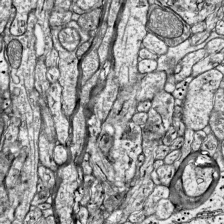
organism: Mouse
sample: Visual Cortex